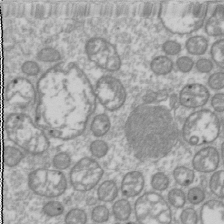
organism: Drosophila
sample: Cell division; meiosis; drosophila spermatocytes